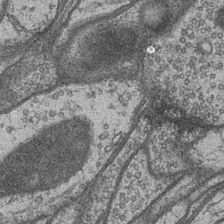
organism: Drosophila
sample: Optic medulla